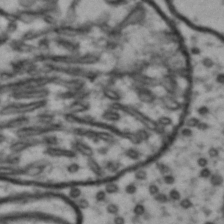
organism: Drosophila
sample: Brain